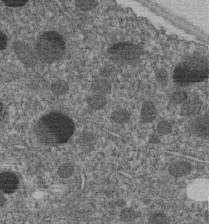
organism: C. elegans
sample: C. elegans embryo early stage